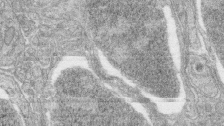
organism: Zebrafish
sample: synaptic ribbons in rod cells and cone cells